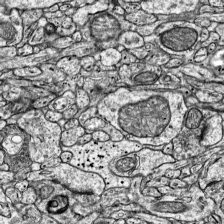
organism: Mouse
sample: Visual Cortex